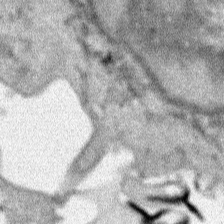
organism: Human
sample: Mitochondria in HCT116 cells